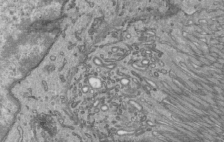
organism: Mouse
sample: Mouse epididymis efferent ductule cilia